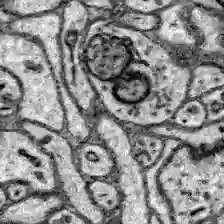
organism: Zebrafish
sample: Brain